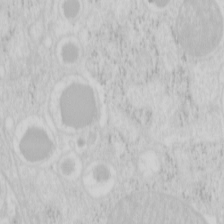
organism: Mouse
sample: Pancreas